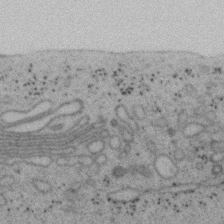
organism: Human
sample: HeLa cells